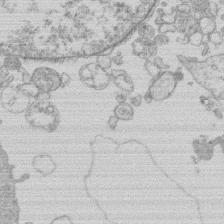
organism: Human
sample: Macrophage cells